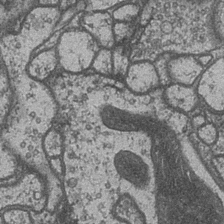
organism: Drosophila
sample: Optic medulla